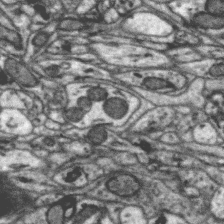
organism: Zebra finch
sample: Brain